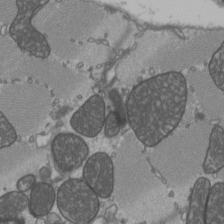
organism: C57BL Mouse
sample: Heart